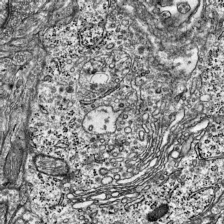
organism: Mouse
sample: Visual Cortex